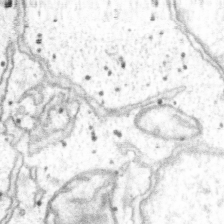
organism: Human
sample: HeLa cells